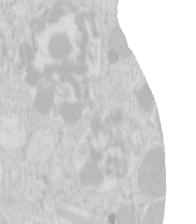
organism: Mouse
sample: Pancreas